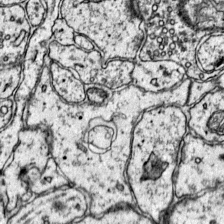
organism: Mouse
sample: Primary visual cortex